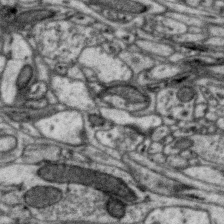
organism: Zebra finch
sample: Brain